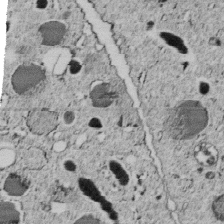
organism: C. elegans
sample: C. elegans embryo early stage